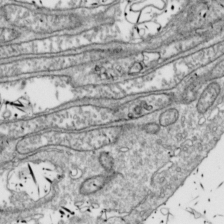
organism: Drosophila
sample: Cell division; meiosis; drosophila spermatocytes